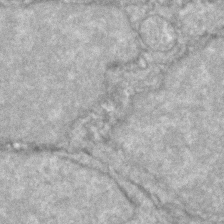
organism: Zebrafish